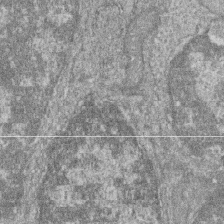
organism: Zebrafish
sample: Cilia; retinal pigment epithelium